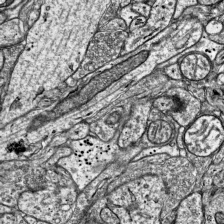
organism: Mouse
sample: Visual Cortex